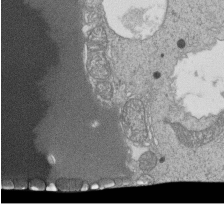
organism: Tetrahymena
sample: Cilia in tetrahymena